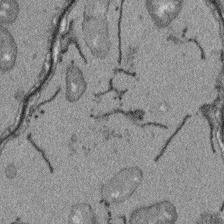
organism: Arabidopsis thaliana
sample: Root tip